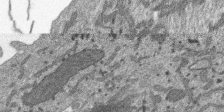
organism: Human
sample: Lung epithelial cells infected with SARS-CoV-2